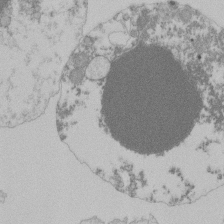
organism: Mouse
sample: Activated Pmel transgenic CD8+ T Cells